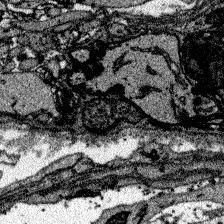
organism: Zebrafish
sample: Larval olfactory bulb